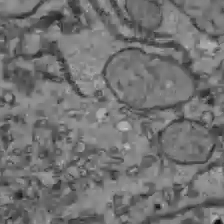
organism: C57BL Mouse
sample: Liver